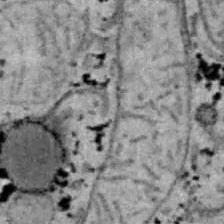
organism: Mouse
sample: Liver from an obese (ob/ob) mouse